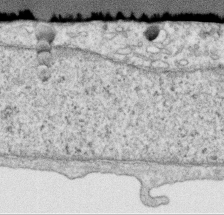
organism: Human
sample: Centriole in RPE cells